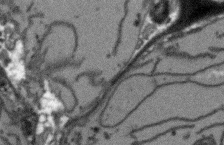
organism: Arabidopsis thaliana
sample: Root tip